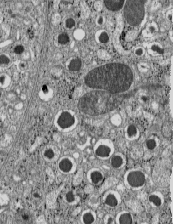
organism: C57BL Mouse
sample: Pancreatic islet